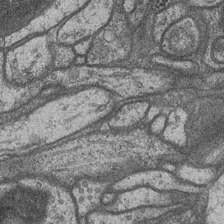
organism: Drosophila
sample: Optic medulla